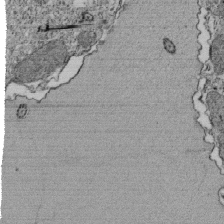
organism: Tetrahymena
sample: Cilia in tetrahymena